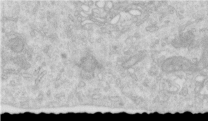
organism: Human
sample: Centriole in RPE cells